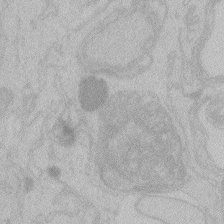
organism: Zebrafish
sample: Macrophage infected with Toxoplasma gondii